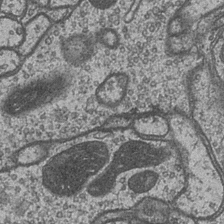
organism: Drosophila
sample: Optic medulla